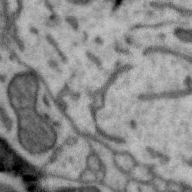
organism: Zebra finch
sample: Brain